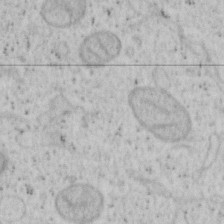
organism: Human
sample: HeLa cells